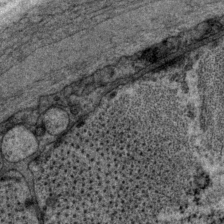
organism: P. pacificus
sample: Pharynx